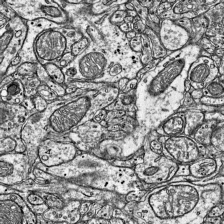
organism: Mouse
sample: Visual Cortex